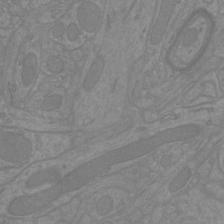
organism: Mouse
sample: Cortical neurons